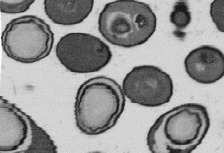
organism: B. subtilis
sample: Bacterial spore